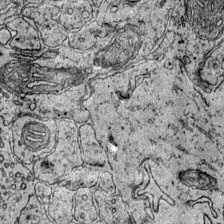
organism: Mouse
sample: Primary visual cortex